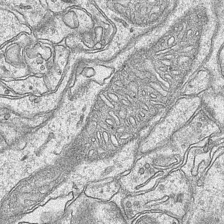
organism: Mouse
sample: CA1 Hippocampus